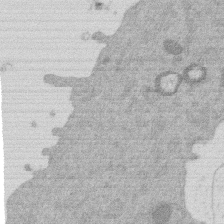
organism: Mouse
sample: Dividing mouse embryo 1 cell stage